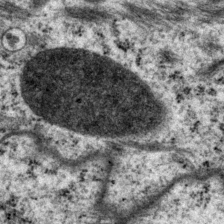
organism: P. pacificus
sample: Pharynx